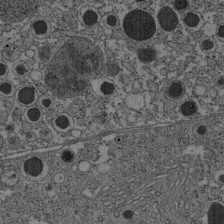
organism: C57BL Mouse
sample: Pancreatic islet